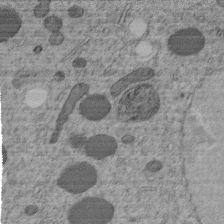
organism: C. elegans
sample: C. elegans embryo early stage